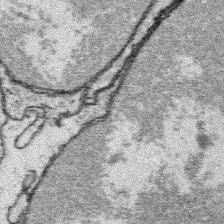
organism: Platynereis dumerilii